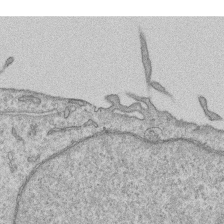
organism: Human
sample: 1205lu cells